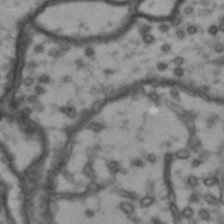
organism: Drosophila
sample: Brain